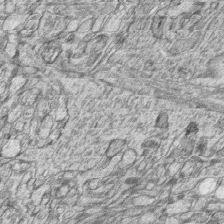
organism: Zebrafish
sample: synaptic ribbons in rod cells and cone cells